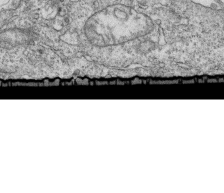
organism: Human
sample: HeLa cell HIV synapse